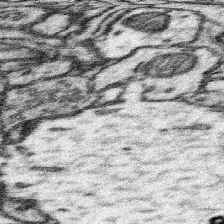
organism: Mouse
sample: Somatosensory cortex neuropil